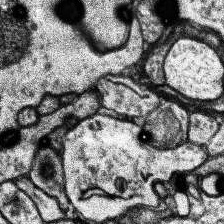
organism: Human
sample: Temporal Lobe